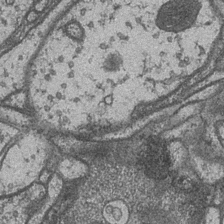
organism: Drosophila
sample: Optic medulla